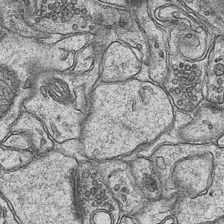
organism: Mouse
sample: CA1 Hippocampus